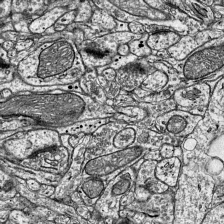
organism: Mouse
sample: Visual Cortex